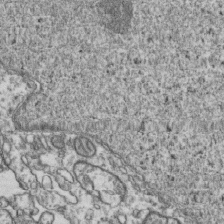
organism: Human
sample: Activated Jurkat CD4+ T cells